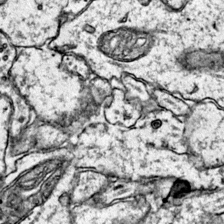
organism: Mouse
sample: Primary visual cortex